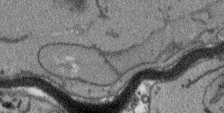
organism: Arabidopsis thaliana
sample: Root tip